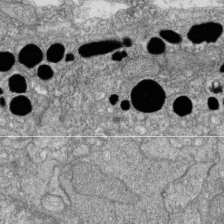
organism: Zebrafish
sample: Cilia; retinal pigment epithelium